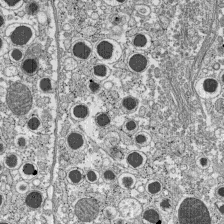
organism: C57BL Mouse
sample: Pancreatic islet